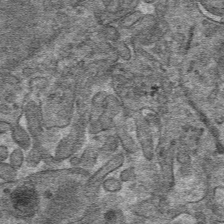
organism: Mouse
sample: Mouse hepatocytes